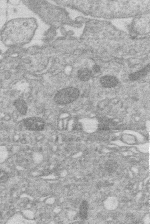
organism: Human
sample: Macrophage cells